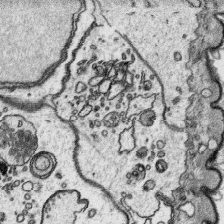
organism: Platynereis dumerilii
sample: Parapodia